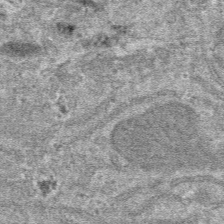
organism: Mouse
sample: Mouse hepatocytes